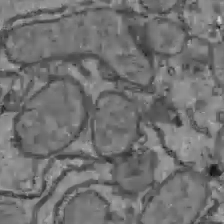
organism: C57BL Mouse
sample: Liver